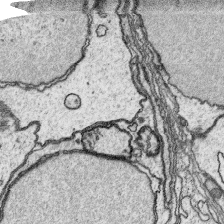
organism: Platynereis dumerilii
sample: Parapodia